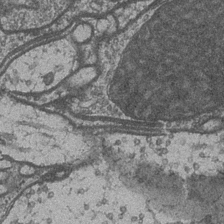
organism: Drosophila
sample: Optic medulla